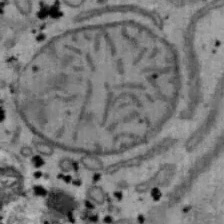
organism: Mouse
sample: Liver